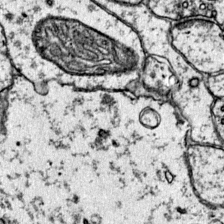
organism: Mouse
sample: Primary visual cortex